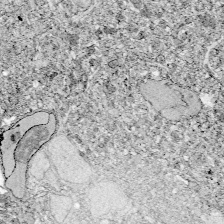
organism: Zebrafish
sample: Whole-Brain